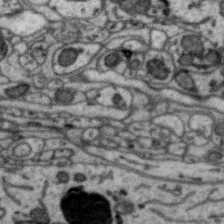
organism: Zebra finch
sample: Brain